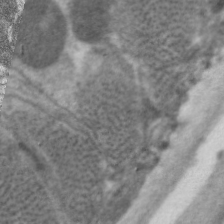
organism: C. elegans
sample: Pharynx